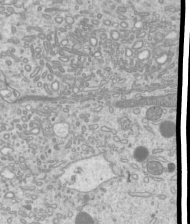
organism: Mouse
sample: Cilia; mouse epididymis